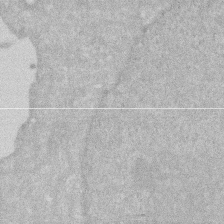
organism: Human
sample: HIV infected U937 cells